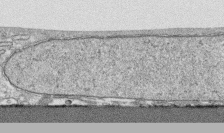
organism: Human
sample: CRL-1474